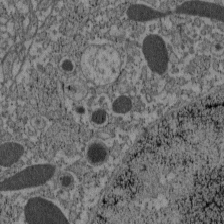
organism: C57BL Mouse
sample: Pancreatic islet